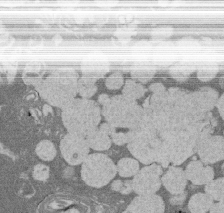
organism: Rat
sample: Salivary granule